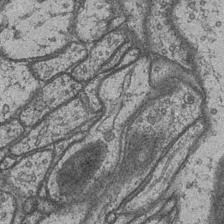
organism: Drosophila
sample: Optic medulla